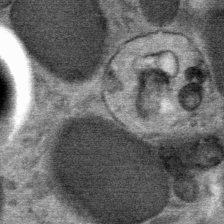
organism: Mouse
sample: Mouse Salivary gland